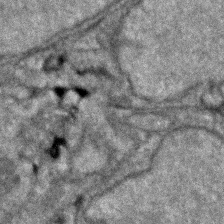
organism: Zebrafish